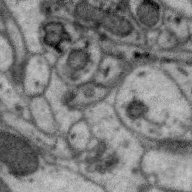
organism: Zebra finch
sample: Brain